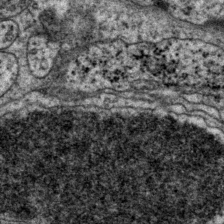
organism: P. pacificus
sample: Pharynx